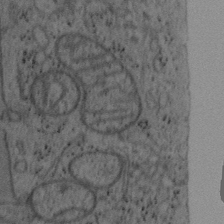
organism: Human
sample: HeLa cells